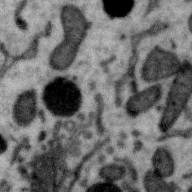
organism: Zebra finch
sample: Brain